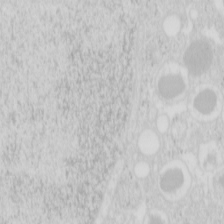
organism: Mouse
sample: Pancreas